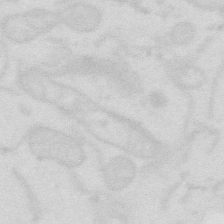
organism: Human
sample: HeLa cells